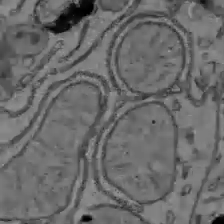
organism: C57BL Mouse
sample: Liver